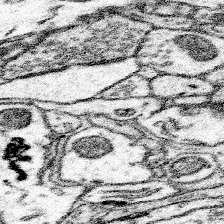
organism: Mouse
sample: Somatosensory cortex neuropil